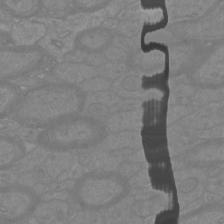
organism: Mouse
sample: Cortical neurons